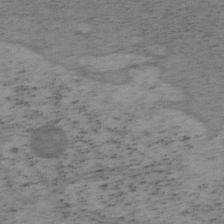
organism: Mouse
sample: OT-I killer T cells with ID8 ovarian cancer cells